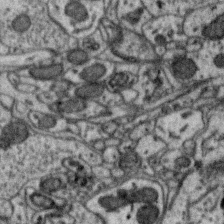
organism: Zebra finch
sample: Brain